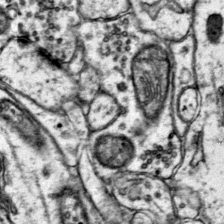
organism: Mouse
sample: Primary visual cortex